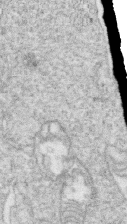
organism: Human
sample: HeLa cell HIV synapse